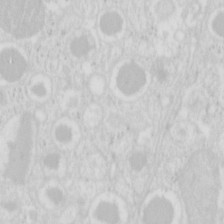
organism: Mouse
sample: Pancreas